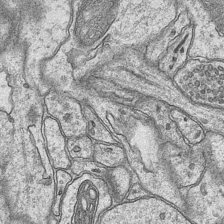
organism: Mouse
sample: CA1 Hippocampus